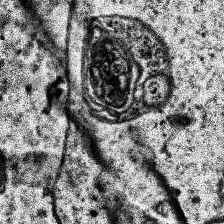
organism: Human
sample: Temporal Lobe